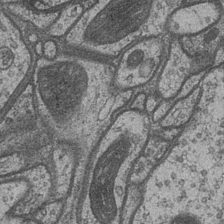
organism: Drosophila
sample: Optic medulla